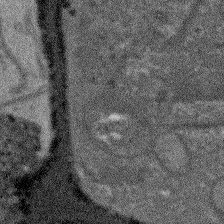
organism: Arabidopsis thaliana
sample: Root tip